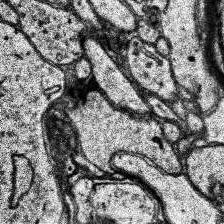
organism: Human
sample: Temporal Lobe